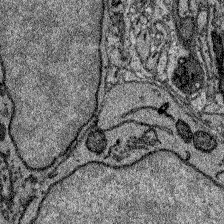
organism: Zebrafish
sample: Larval olfactory bulb